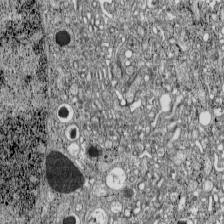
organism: C57BL Mouse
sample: Pancreatic islet